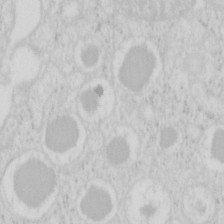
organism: Mouse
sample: Pancreas